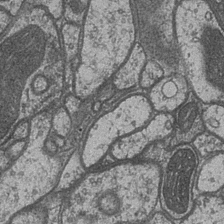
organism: Drosophila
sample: Optic medulla